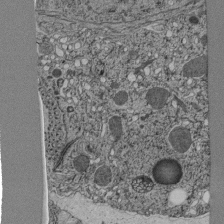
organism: C. elegans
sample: C. elegans pharynx